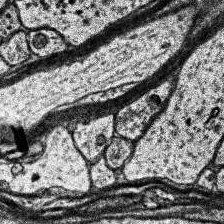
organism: Human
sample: Temporal Lobe